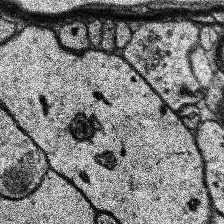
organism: Human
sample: Temporal Lobe